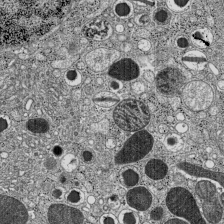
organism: C57BL Mouse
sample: Pancreatic islet